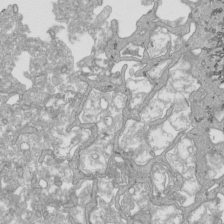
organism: Human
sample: Mitochondria in HCT116 cells